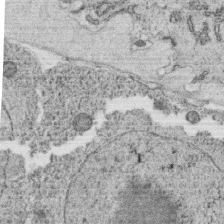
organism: C. elegans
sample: C. elegans oocyte; sperm cells